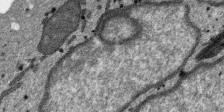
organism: Human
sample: Lung epithelial cells, uninfected (mock) control